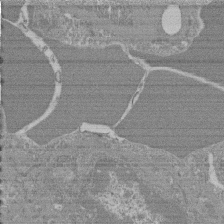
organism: Mouse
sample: Glomerulus